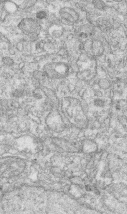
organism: Human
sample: HeLa cell HIV synapse